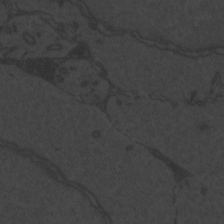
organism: Zebrafish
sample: Macrophage infected with Toxoplasma gondii